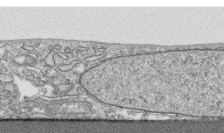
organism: Human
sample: CRL-1474